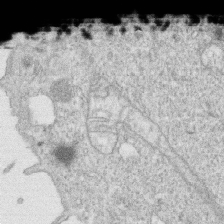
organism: Human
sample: HeLa cell HIV synapse